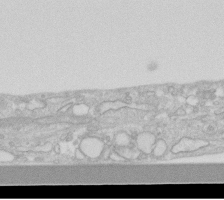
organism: Human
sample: Fibroblast cells